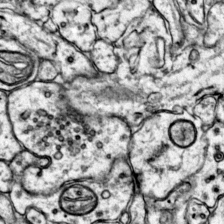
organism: Mouse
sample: Primary visual cortex